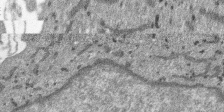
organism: Human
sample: Lung epithelial cells infected with SARS-CoV-2